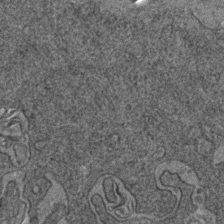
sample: Trachea